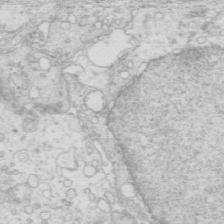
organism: Mouse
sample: Multiciliated cells